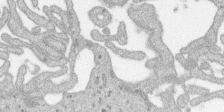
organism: Human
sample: Lung epithelial cells infected with SARS-CoV-2